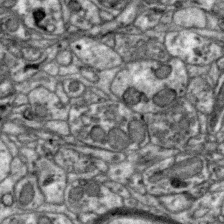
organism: Zebra finch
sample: Brain